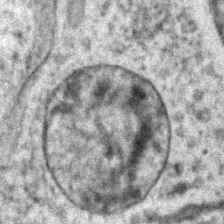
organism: C. elegans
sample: C. elegans embryo